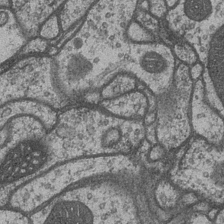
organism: Drosophila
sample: Optic medulla